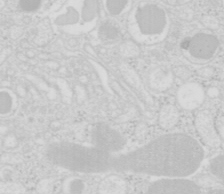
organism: Mouse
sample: Pancreas